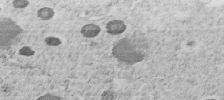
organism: C. elegans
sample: C. elegans embryo early stage